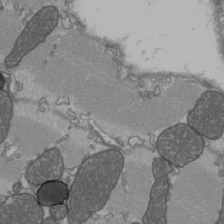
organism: C57BL Mouse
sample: Heart